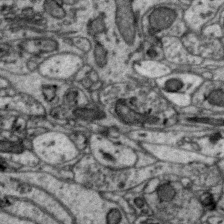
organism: Zebra finch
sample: Brain